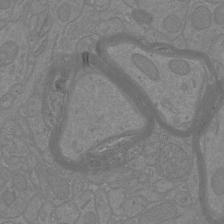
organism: Mouse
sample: Cortical neurons